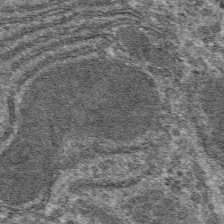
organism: Mouse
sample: Mouse hepatocytes